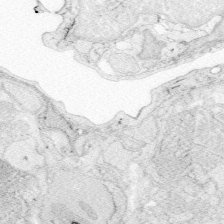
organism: Zebrafish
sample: Whole-Brain